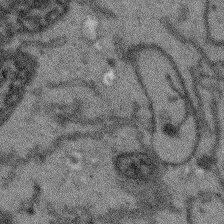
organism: Arabidopsis thaliana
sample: Root tip